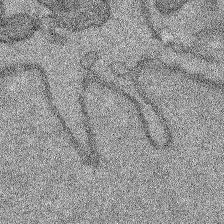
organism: Human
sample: HeLa cells